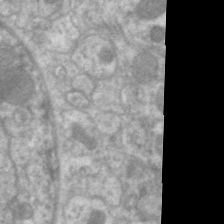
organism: C. elegans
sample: Pharynx